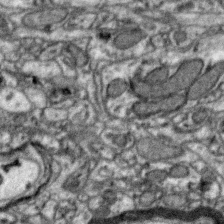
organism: Zebra finch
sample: Brain